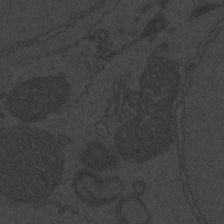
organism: Zebrafish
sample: Macrophage infected with Toxoplasma gondii